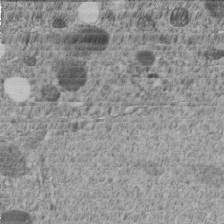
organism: C. elegans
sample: C. elegans embryo early stage